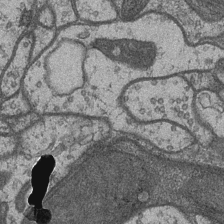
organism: Drosophila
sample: Optic medulla